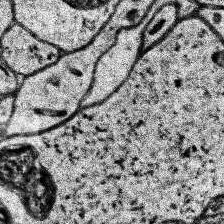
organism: Human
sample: Temporal Lobe